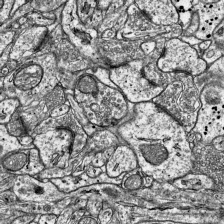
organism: Mouse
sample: Visual Cortex